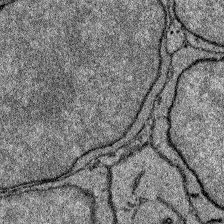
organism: Zebrafish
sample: Larval olfactory bulb